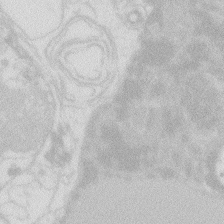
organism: Zebrafish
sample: Macrophage